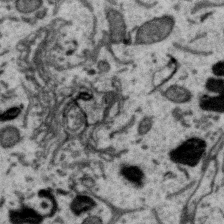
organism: Zebra finch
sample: Brain